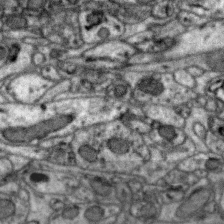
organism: Zebra finch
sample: Brain